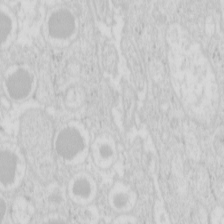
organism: Mouse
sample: Pancreas